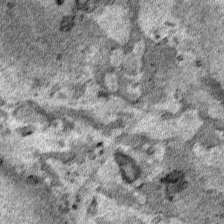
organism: Human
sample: Mitochondria in HCT116 cells